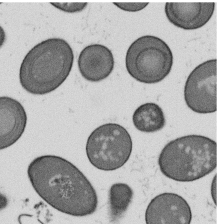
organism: B. subtilis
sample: Bacterial spore